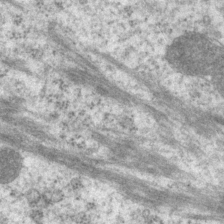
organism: P. pacificus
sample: Pharynx